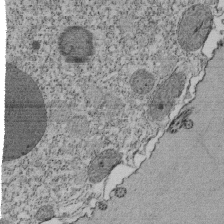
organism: Tetrahymena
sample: Cilia in tetrahymena